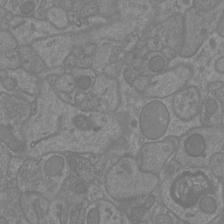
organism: Mouse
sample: Cortical neurons